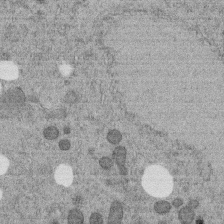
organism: C. elegans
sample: C. elegans embryo early stage